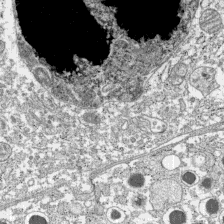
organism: C57BL Mouse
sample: Pancreatic islet